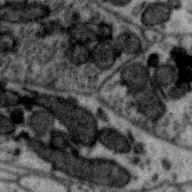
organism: Zebra finch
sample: Brain